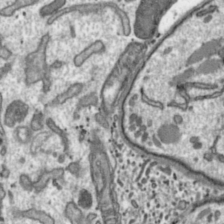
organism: Toxoplasma gondii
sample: Parasites in a vacuole inside a host cell